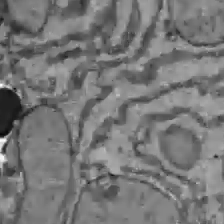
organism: C57BL Mouse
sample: Liver